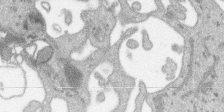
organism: Human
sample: Lung epithelial cells infected with SARS-CoV-2